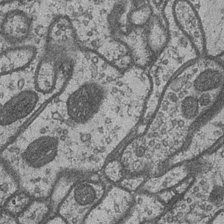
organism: Drosophila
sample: Optic medulla